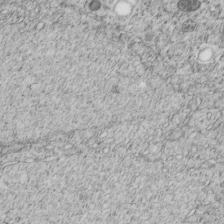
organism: C. elegans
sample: C. elegans embryo early stage